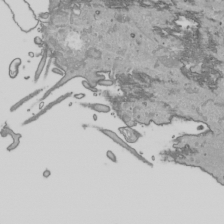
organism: Human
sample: Mitochondria in HCT116 cells